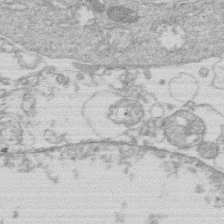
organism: Human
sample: Macrophage cells